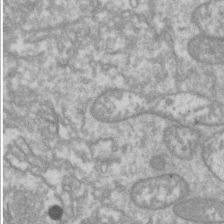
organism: Drosophila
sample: Cell division; meiosis; drosophila spermatocytes